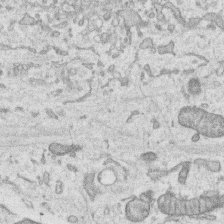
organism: Human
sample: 1205lu cells